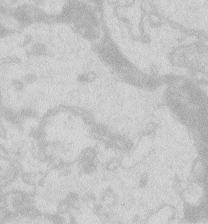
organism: Zebrafish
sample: Macrophage